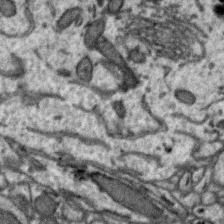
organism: Zebra finch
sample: Brain